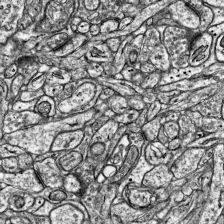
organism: Mouse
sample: Visual Cortex